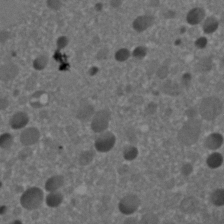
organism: C. elegans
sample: C. elegans embryo